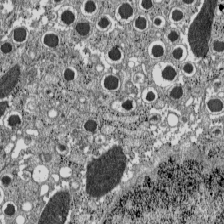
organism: C57BL Mouse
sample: Pancreatic islet